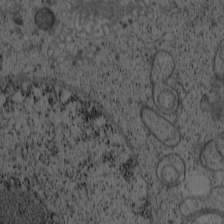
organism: African green monkey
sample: COS-7 cells